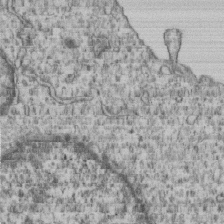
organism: Human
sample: MDA-MB-231 cells